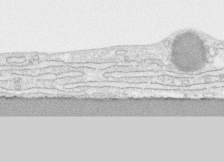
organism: Human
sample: CRL-1474